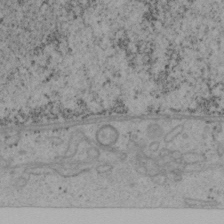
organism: Human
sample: HeLa cells